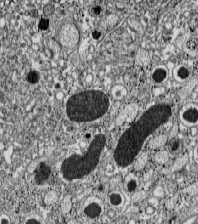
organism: C57BL Mouse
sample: Pancreatic islet